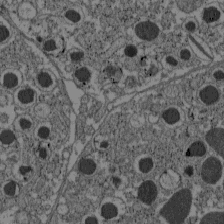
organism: C57BL Mouse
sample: Pancreatic islet